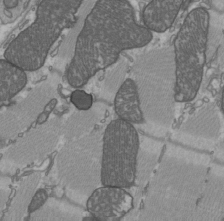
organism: C57BL Mouse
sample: Heart